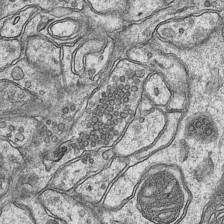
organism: Mouse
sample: CA1 Hippocampus